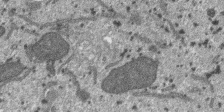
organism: Human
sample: Lung epithelial cells infected with SARS-CoV-2